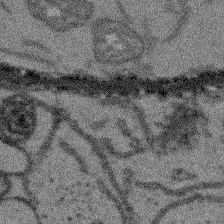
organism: Arabidopsis thaliana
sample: Root tip